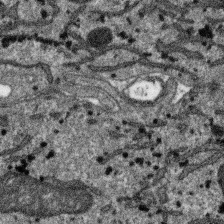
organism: Human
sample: Lung epithelial cells infected with SARS-CoV-2